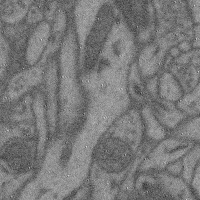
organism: Mouse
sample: Cerebral cortex